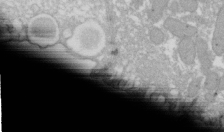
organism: Xenopus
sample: Cilia; centrioles in frog embryo cells